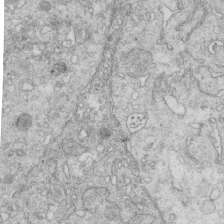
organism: Mouse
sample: Multiciliated cells